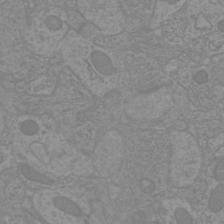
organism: Mouse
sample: Cortical neurons